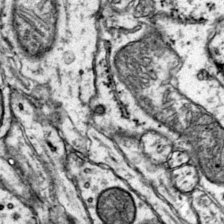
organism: Mouse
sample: Primary visual cortex